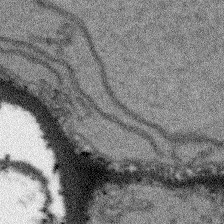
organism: Arabidopsis thaliana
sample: Root tip